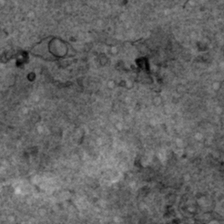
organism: Human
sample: Mitochondria in HCT116 cells